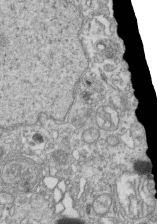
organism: Human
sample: HeLa cell HIV synapse